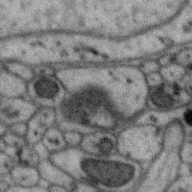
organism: Zebra finch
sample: Brain